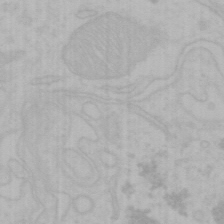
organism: Mouse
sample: Choroid plexus